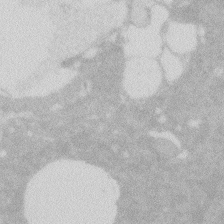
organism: Zebrafish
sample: Macrophage